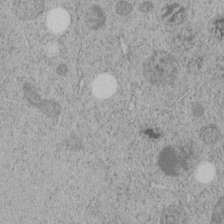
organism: C. elegans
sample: C. elegans embryo early stage